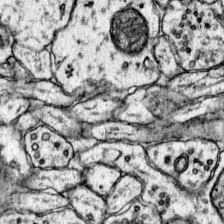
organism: Mouse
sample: Primary visual cortex